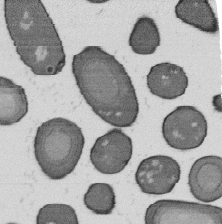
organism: B. subtilis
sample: Bacterial spore